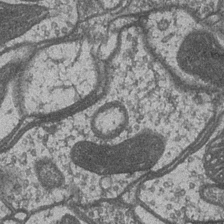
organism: Drosophila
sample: Optic medulla